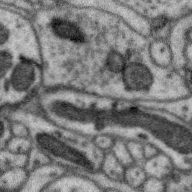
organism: Zebra finch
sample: Brain